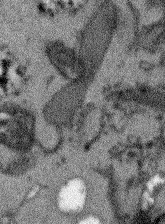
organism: Arabidopsis thaliana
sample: Root tip